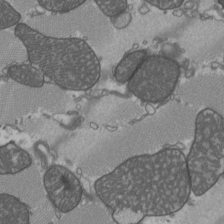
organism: C57BL Mouse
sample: Heart